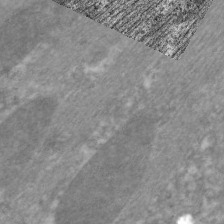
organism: C. elegans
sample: Pharynx